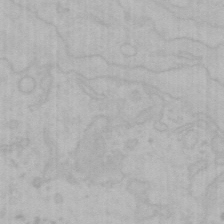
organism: Mouse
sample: Choroid plexus